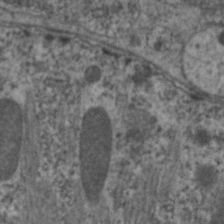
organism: C. elegans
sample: Pharynx